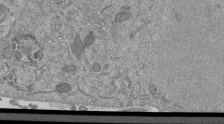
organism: Mouse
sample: ED-1 cell nuclei; centrioles